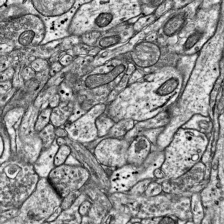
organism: Mouse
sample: Visual Cortex